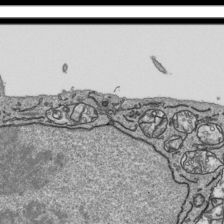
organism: Human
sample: Mitochondria in HCT116 cells